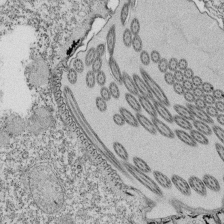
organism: Tetrahymena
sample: Cilia in tetrahymena